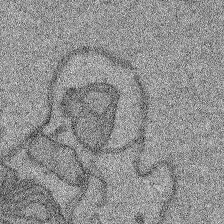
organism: Human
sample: HeLa cells